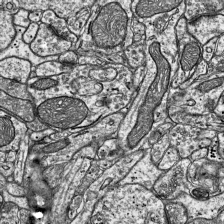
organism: Mouse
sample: Visual Cortex